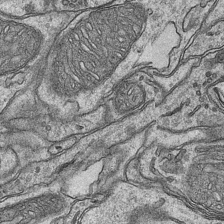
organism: Mouse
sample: CA1 Hippocampus